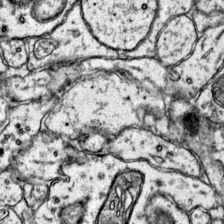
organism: Mouse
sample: Primary visual cortex